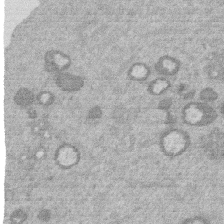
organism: Mouse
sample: Dividing mouse embryo 1 cell stage